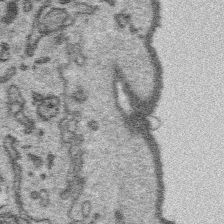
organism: Platynereis dumerilii